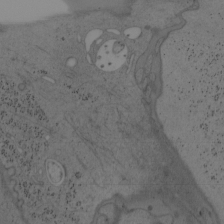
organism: Mouse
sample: OT-I killer T cells with ID8 ovarian cancer cells